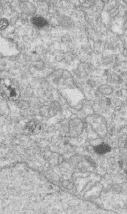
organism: Human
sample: HeLa cell HIV synapse